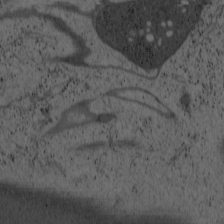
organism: African green monkey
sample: COS-7 cells